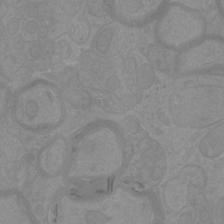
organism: Mouse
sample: Cortical neurons